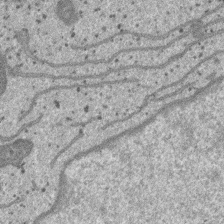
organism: Human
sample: Lung epithelial cells infected with SARS-CoV-2